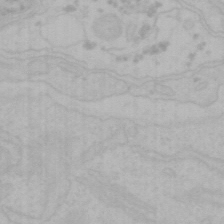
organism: Mouse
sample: Choroid plexus